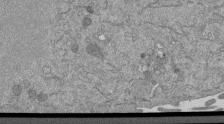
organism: Mouse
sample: ED-1 cell nuclei; centrioles